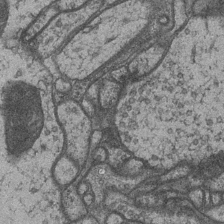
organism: Drosophila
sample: Optic medulla